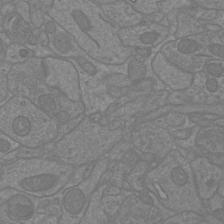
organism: Mouse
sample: Cortical neurons